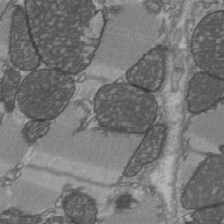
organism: C57BL Mouse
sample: Heart